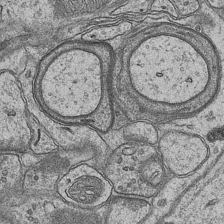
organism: Mouse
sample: CA1 Hippocampus